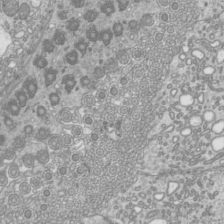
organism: Mouse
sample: Cilia; mouse epididymis